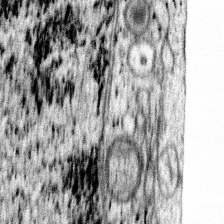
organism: Human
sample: HeLa cells